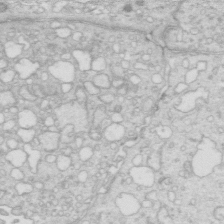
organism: Mouse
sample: Multiciliated cells